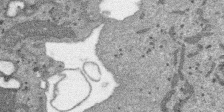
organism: Human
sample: Lung epithelial cells infected with SARS-CoV-2